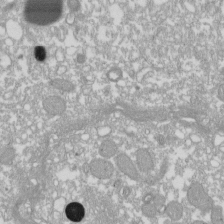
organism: Xenopus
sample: Cilia; centrioles in frog embryo cells